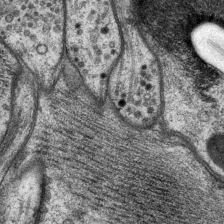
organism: P. pacificus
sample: Pharynx